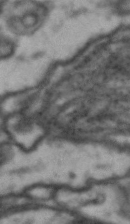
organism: Drosophila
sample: Brain